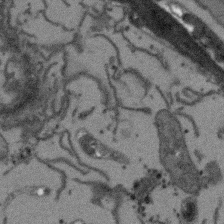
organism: Arabidopsis thaliana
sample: Root tip